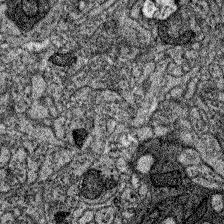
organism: Zebrafish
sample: Larval olfactory bulb